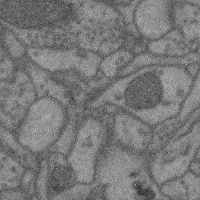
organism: Mouse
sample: Cerebral cortex